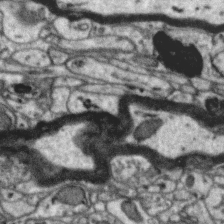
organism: Zebra finch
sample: Brain